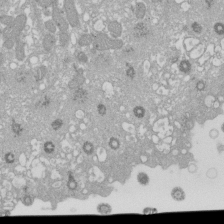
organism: Xenopus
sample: Cilia; centrioles in frog embryo cells